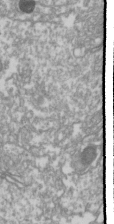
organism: Drosophila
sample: Cell division; meiosis; drosophila spermatocytes